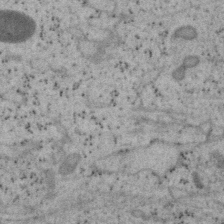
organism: Human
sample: HeLa cells